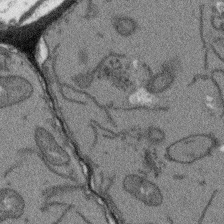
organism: Arabidopsis thaliana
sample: Root tip